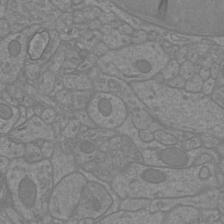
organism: Mouse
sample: Cortical neurons